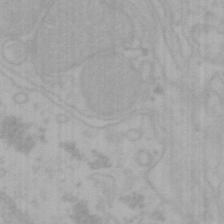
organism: Mouse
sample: Choroid plexus